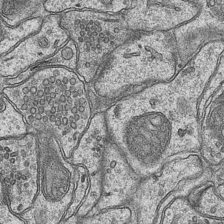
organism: Mouse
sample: CA1 Hippocampus